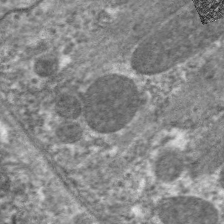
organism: C. elegans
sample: Pharynx